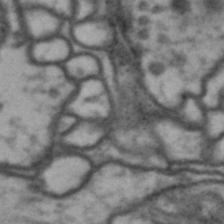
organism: Drosophila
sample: Brain